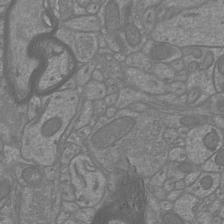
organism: Mouse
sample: Cortical neurons